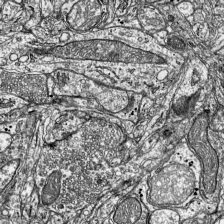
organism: Mouse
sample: Visual Cortex